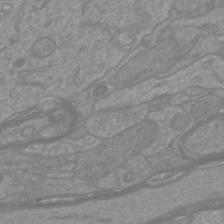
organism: Mouse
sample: Cortical neurons